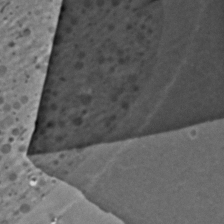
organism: C. elegans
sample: C. elegans embryo